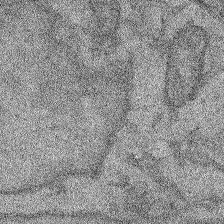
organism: Human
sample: HeLa cells